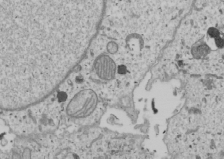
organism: Human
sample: Mitochondria in U2OS cells